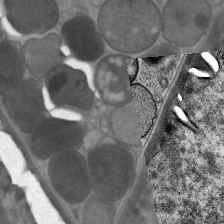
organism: C. elegans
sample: Pharynx